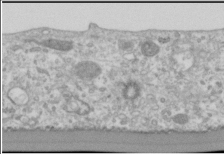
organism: Human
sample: Cilia; basal body in RPE cells